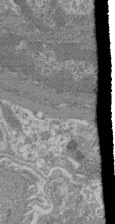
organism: Mouse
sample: Glomerulus